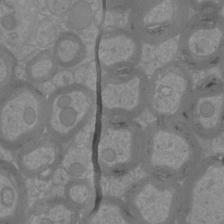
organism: Mouse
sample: Cortical neurons